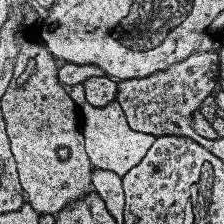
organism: Human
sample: Temporal Lobe